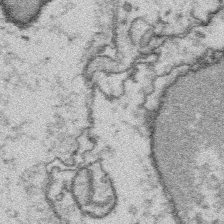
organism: Platynereis dumerilii